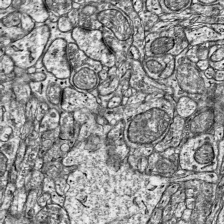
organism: Mouse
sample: Visual Cortex